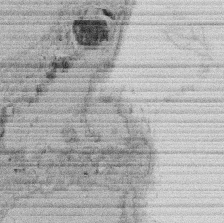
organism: Rat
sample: Salivary granule